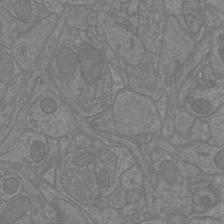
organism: Mouse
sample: Cortical neurons